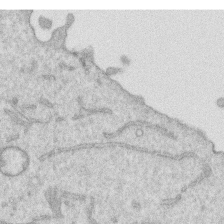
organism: Human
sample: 1205lu cells